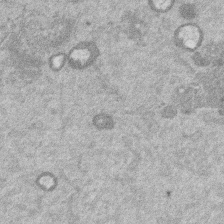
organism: Mouse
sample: Dividing mouse embryo 1 cell stage